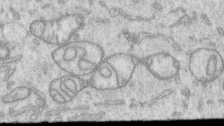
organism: Human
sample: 1205lu cells